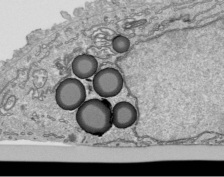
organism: Human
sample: Mitochondria in HCT116 cells